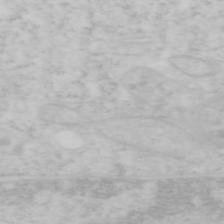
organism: Mouse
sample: OT-I killer T cells with ID8 ovarian cancer cells